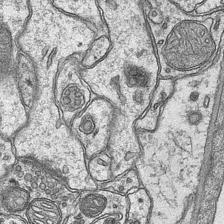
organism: Mouse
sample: CA1 Hippocampus